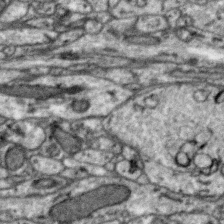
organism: Zebra finch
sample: Brain